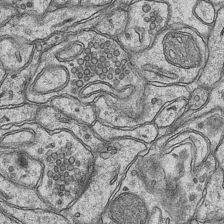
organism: Mouse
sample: CA1 Hippocampus